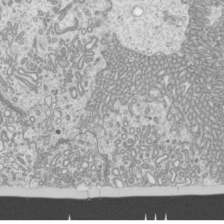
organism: Mouse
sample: Cilia; mouse epididymis